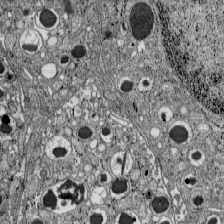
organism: C57BL Mouse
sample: Pancreatic islet